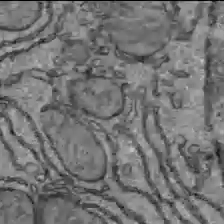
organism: C57BL Mouse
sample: Liver